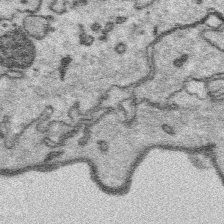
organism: Platynereis dumerilii